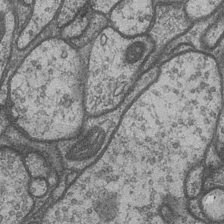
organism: Drosophila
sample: Optic medulla